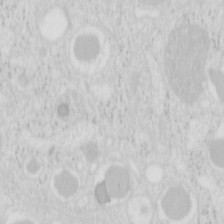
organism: Mouse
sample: Pancreas